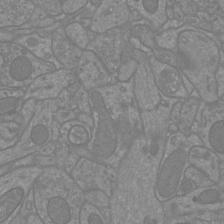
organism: Mouse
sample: Cortical neurons